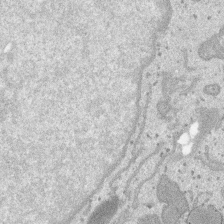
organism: Human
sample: Lung epithelial cells infected with SARS-CoV-2